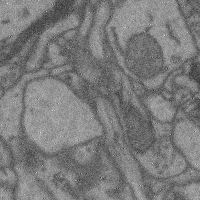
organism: Mouse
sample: Cerebral cortex